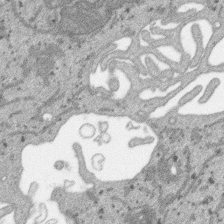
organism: Human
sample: Lung epithelial cells infected with SARS-CoV-2